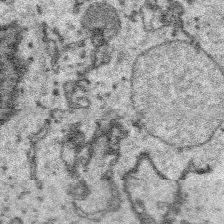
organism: Platynereis dumerilii